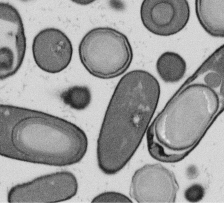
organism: B. subtilis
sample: Bacterial spore